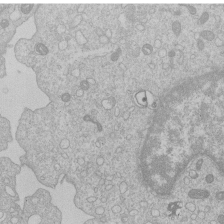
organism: Human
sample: Macrophage cells